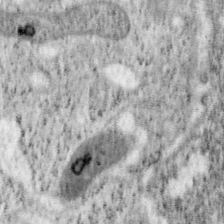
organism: Mouse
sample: OT-I killer T cells with ID8 ovarian cancer cells